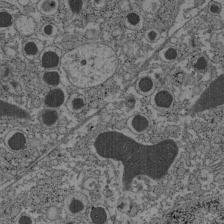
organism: C57BL Mouse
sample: Pancreatic islet